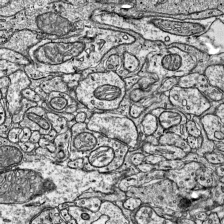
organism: Mouse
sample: Visual Cortex